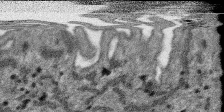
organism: Human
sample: Lung epithelial cells infected with SARS-CoV-2